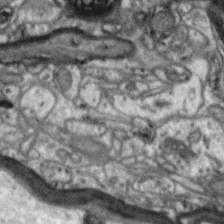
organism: Zebra finch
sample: Brain